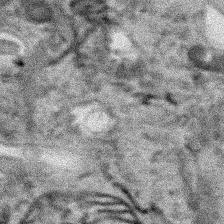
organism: Human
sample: Mitochondria in HCT116 cells